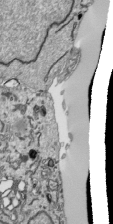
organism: Human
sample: Mitochondria in HCT116 cells